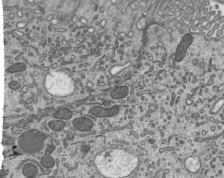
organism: Mouse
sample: Mouse epididymis efferent ductule cilia